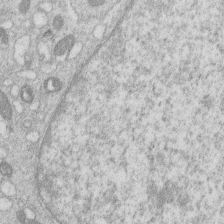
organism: Human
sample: Macrophage cells